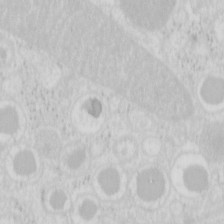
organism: Mouse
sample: Pancreas